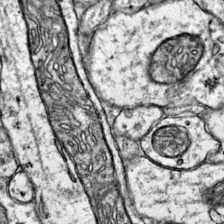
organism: Mouse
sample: Primary visual cortex